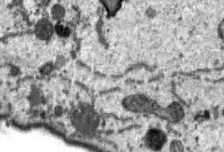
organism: Human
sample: HeLa cells